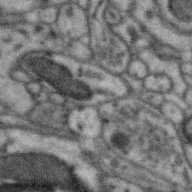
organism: Zebra finch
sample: Brain